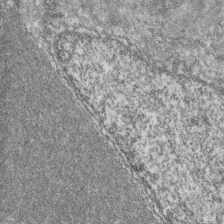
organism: Zebrafish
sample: Cilia; retinal pigment epithelium